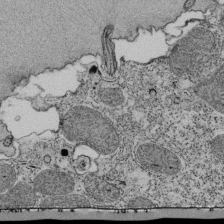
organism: Tetrahymena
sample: Cilia in tetrahymena